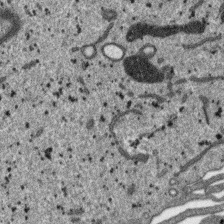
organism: Human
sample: Lung epithelial cells infected with SARS-CoV-2